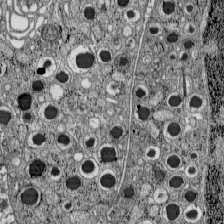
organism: C57BL Mouse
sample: Pancreatic islet